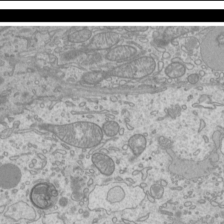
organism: Mouse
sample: Cilia; mouse epididymis